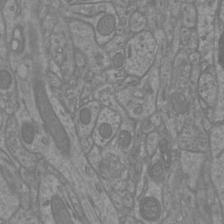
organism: Mouse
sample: Cortical neurons